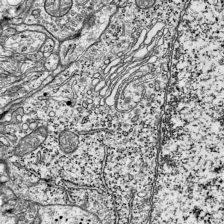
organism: Mouse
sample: Visual Cortex